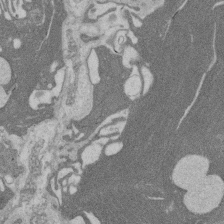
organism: Rat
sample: Salivary granule